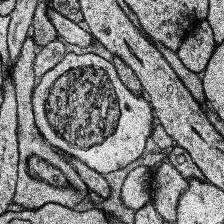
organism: Human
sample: Temporal Lobe